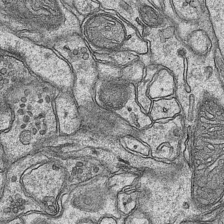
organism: Mouse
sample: CA1 Hippocampus